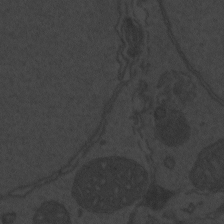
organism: Zebrafish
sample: Macrophage infected with Toxoplasma gondii